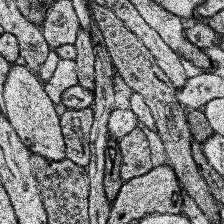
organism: Human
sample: Temporal Lobe